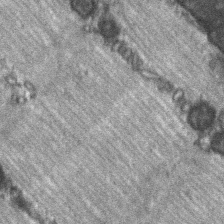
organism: C57BL Mouse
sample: Soleus